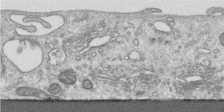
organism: Human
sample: Centriole in RPE cells